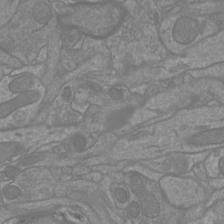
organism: Mouse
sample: Cortical neurons